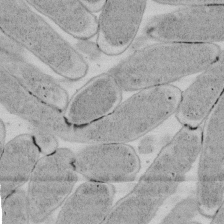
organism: E. coli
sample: Bacterial nucleoid